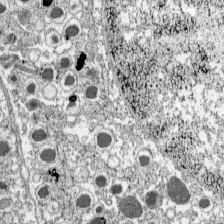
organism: C57BL Mouse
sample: Pancreatic islet